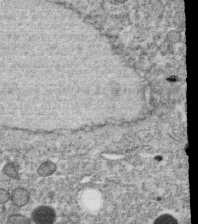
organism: C. elegans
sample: C. elegans oocyte; sperm cells